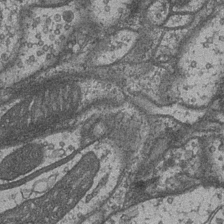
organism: Drosophila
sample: Optic medulla